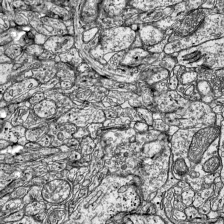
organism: Mouse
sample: Visual Cortex